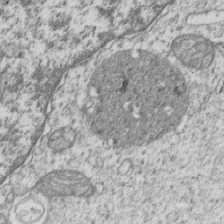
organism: Human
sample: MDA-MB-231 cells